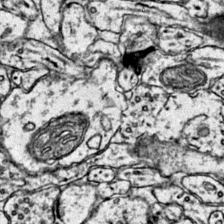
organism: Mouse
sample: Primary visual cortex